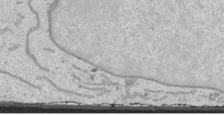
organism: Human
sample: Mitochondria in HCT116 cells